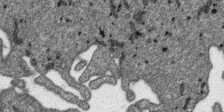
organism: Human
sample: Lung epithelial cells infected with SARS-CoV-2